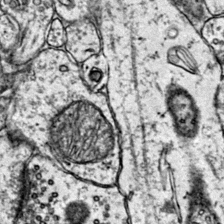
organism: Mouse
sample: Primary visual cortex